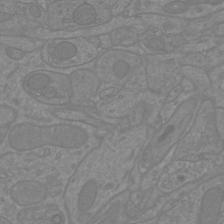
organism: Mouse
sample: Cortical neurons